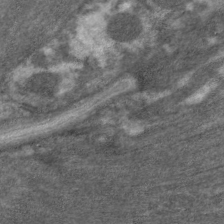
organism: C. elegans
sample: Pharynx